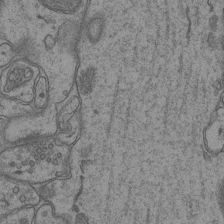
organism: Mouse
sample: CA1 Hippocampus